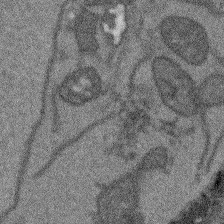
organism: Arabidopsis thaliana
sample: Root tip